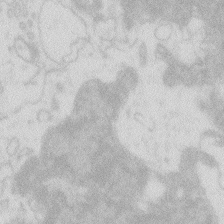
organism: Zebrafish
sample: Macrophage